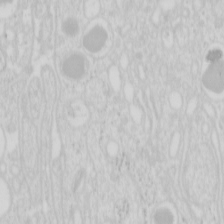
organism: Mouse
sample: Pancreas